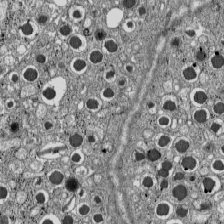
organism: C57BL Mouse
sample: Pancreatic islet